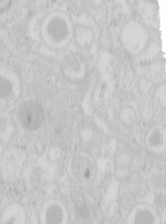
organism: Mouse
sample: Pancreas